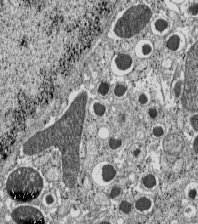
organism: C57BL Mouse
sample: Pancreatic islet